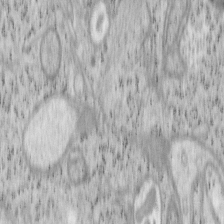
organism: Human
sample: HeLa cells